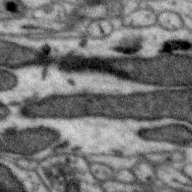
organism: Zebra finch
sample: Brain